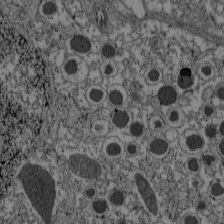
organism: C57BL Mouse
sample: Pancreatic islet